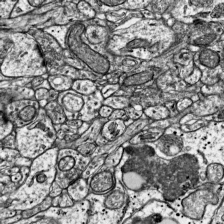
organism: Mouse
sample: Visual Cortex